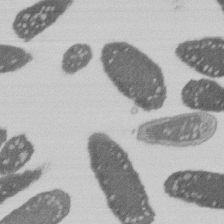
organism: E. coli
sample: Bacterial nucleoid